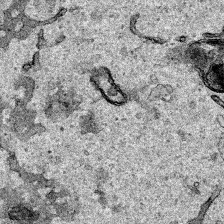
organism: Human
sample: Mitochondria in HCT116 cells